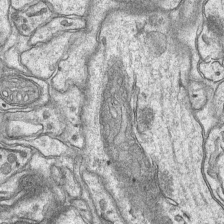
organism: Mouse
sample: CA1 Hippocampus